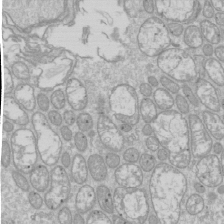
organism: Drosophila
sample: Cell division; meiosis; drosophila spermatocytes